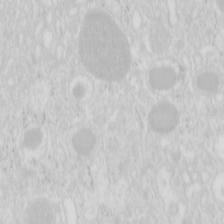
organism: Mouse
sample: Pancreas